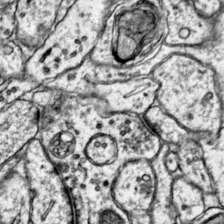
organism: Mouse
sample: Primary visual cortex